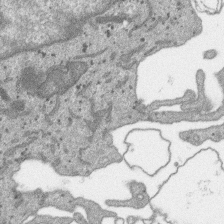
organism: Human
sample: Lung epithelial cells infected with SARS-CoV-2